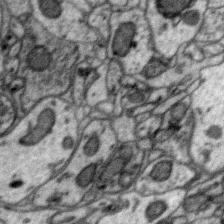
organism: Zebra finch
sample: Brain